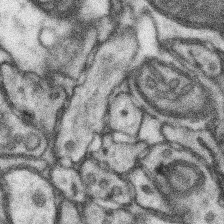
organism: Mouse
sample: Somatosensory cortex neuropil